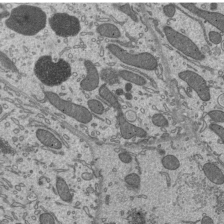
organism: Mouse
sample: Mouse epididymis efferent ductule cilia